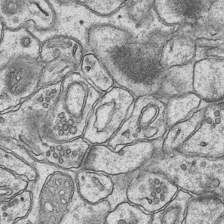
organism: Mouse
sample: CA1 Hippocampus